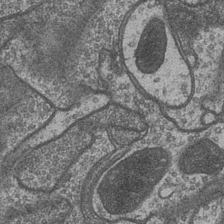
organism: Drosophila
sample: Optic medulla